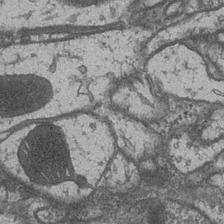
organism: Drosophila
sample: Optic medulla